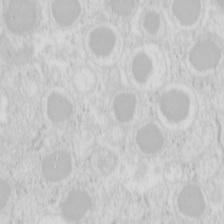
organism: Mouse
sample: Pancreas